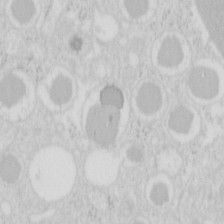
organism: Mouse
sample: Pancreas